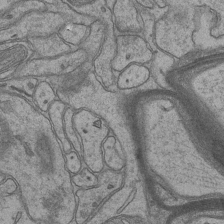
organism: Mouse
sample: CA1 Hippocampus